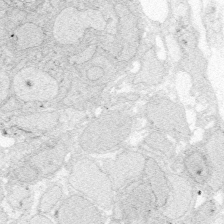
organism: Zebrafish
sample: Whole-Brain